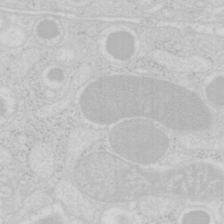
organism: Mouse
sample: Pancreas